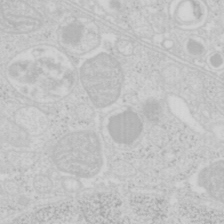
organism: Mouse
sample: Pancreas